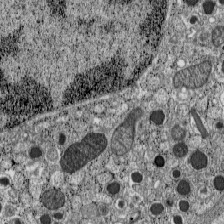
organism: C57BL Mouse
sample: Pancreatic islet